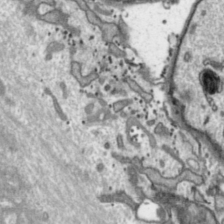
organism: Toxoplasma gondii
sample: Parasites in a vacuole inside a host cell